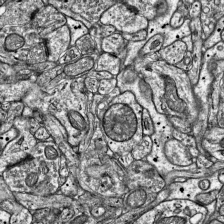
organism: Mouse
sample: Visual Cortex